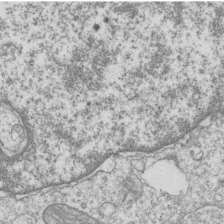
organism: Human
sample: MDA-MB-231 cells